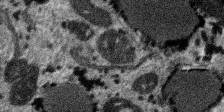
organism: Human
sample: Lung epithelial cells infected with SARS-CoV-2